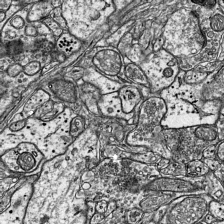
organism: Mouse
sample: Visual Cortex